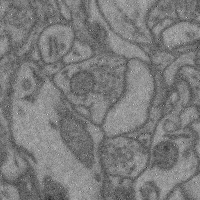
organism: Mouse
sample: Cerebral cortex